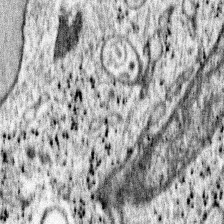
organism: Human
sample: HeLa cells